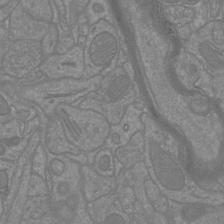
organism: Mouse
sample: Cortical neurons